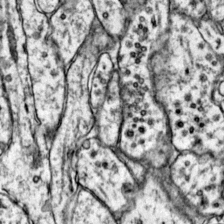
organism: Mouse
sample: Primary visual cortex